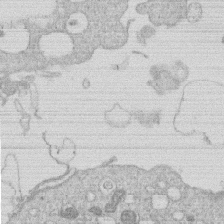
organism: Human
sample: Macrophage cells